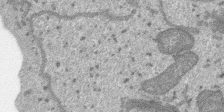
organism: Human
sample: Lung epithelial cells infected with SARS-CoV-2